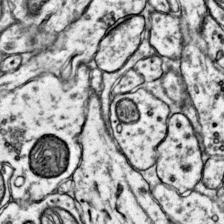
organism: Mouse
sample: Primary visual cortex